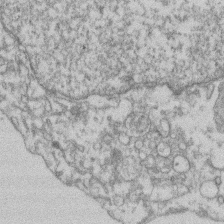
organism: Mouse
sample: T cell stromal cell synapse